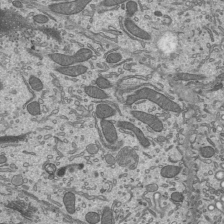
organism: Mouse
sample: Mouse epididymis efferent ductule cilia